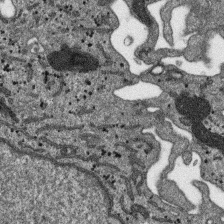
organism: Human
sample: Lung epithelial cells infected with SARS-CoV-2